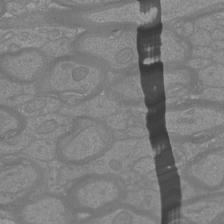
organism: Mouse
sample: Cortical neurons